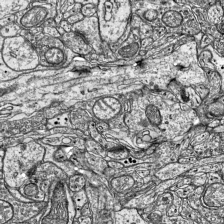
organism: Mouse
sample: Visual Cortex